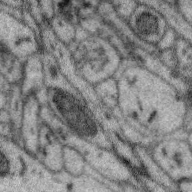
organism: Zebra finch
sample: Brain